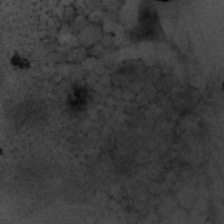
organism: P. pacificus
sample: Pharynx